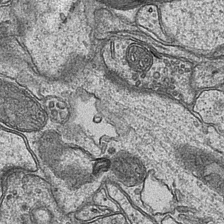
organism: Mouse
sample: CA1 Hippocampus